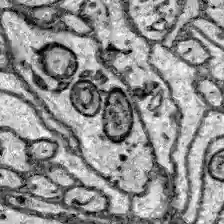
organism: Zebrafish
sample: Brain